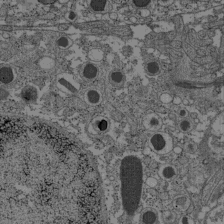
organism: C57BL Mouse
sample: Pancreatic islet